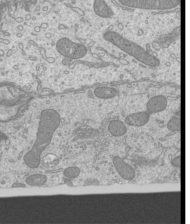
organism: Mouse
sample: Cilia; mouse epididymis